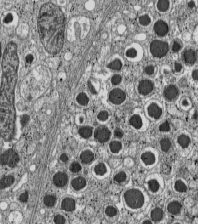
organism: C57BL Mouse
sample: Pancreatic islet